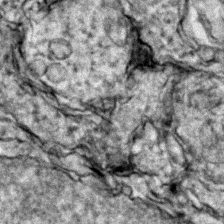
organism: Zebrafish